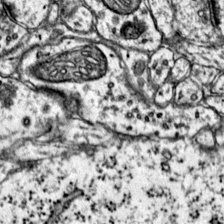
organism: Mouse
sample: Primary visual cortex